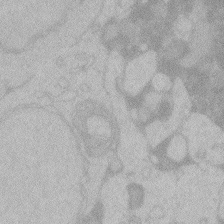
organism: Zebrafish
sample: Macrophage infected with Toxoplasma gondii